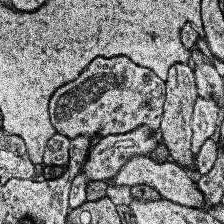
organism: Human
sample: Temporal Lobe